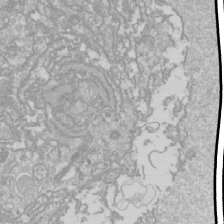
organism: Drosophila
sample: Cell division; meiosis; drosophila spermatocytes